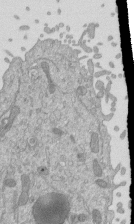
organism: Mouse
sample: ED-1 cell nuclei; centrioles